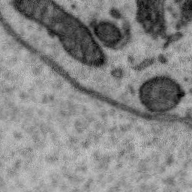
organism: Zebra finch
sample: Brain